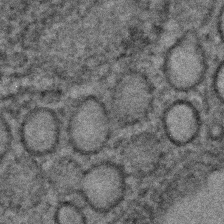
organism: C. elegans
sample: C. elegans embryo